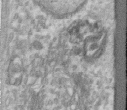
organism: Human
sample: Centriole in RPE cells